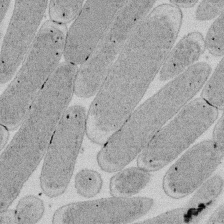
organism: E. coli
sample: Bacterial nucleoid